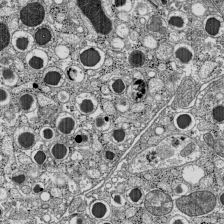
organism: C57BL Mouse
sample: Pancreatic islet